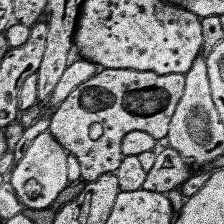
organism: Human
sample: Temporal Lobe